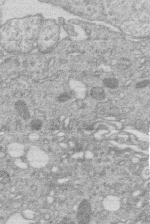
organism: Human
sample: Macrophage cells